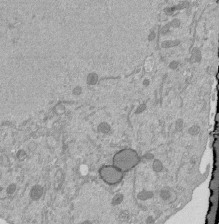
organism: Mouse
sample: ED-1 cell nuclei; centrioles